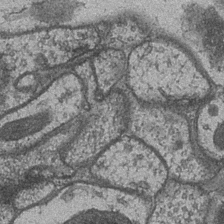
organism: Drosophila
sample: Optic medulla